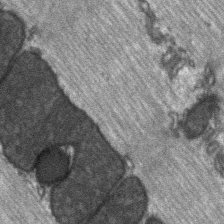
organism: C57BL Mouse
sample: Soleus